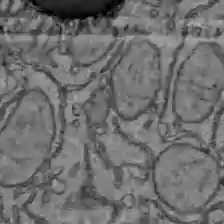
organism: C57BL Mouse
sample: Liver